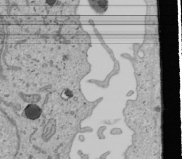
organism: Human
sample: Mitochondria in U2OS cells